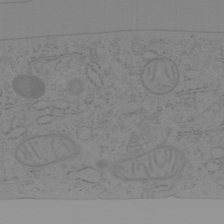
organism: Human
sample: HeLa cells